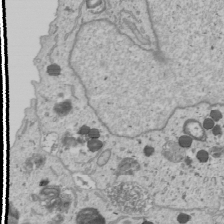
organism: Human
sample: Mitochondria in U2OS cells